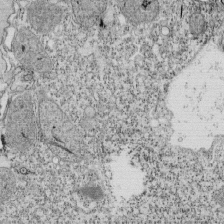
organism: Tetrahymena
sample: Cilia in tetrahymena